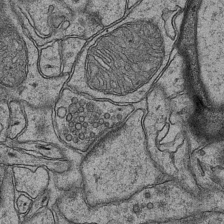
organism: Mouse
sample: CA1 Hippocampus